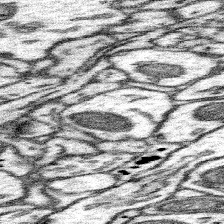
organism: Mouse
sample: Somatosensory cortex neuropil